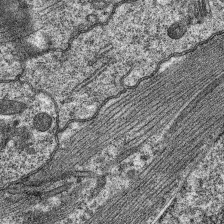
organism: C. elegans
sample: Pharynx